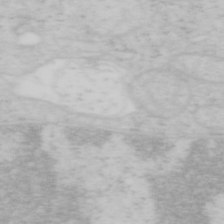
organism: Mouse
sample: OT-I killer T cells with ID8 ovarian cancer cells